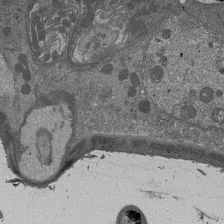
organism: Drosophila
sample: Antenna